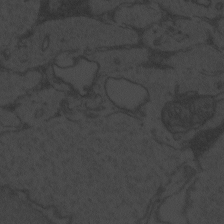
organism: Zebrafish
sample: Macrophage infected with Toxoplasma gondii